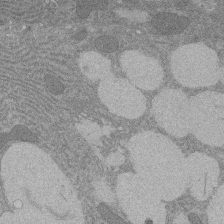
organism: Rat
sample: Salivary granule